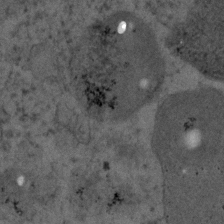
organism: Human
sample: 1205lu cells